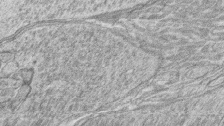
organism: Zebrafish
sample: synaptic ribbons in rod cells and cone cells